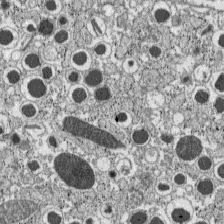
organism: C57BL Mouse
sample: Pancreatic islet